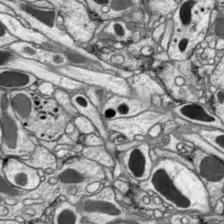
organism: Drosophila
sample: Optic lobe